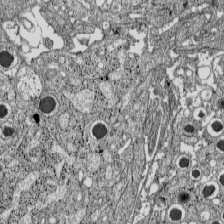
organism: C57BL Mouse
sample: Pancreatic islet